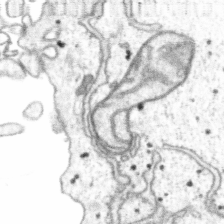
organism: Human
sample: HeLa cells